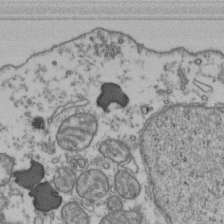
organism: Human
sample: Activated Jurkat CD4+ T cells